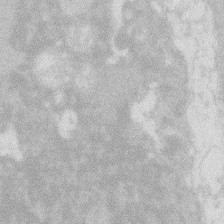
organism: Zebrafish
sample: Macrophage